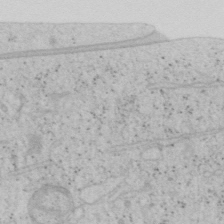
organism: Human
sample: HeLa cells